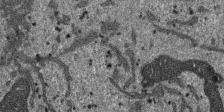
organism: Human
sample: Lung epithelial cells infected with SARS-CoV-2